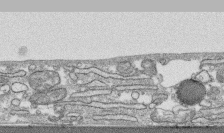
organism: Human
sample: CRL-1474